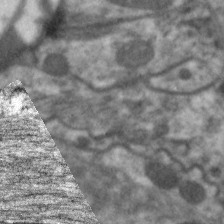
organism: C. elegans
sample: Pharynx